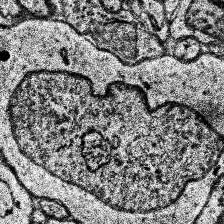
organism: Human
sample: Temporal Lobe